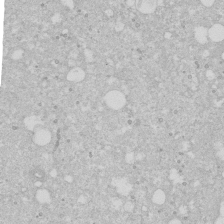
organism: Human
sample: Caco-2 cells